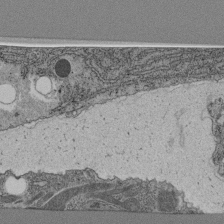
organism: C. elegans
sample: C. elegans pharynx